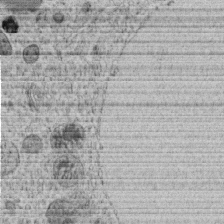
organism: C. elegans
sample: C. elegans embryo early stage